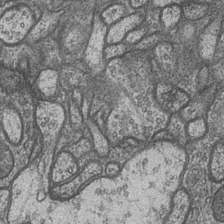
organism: Drosophila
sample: Optic medulla